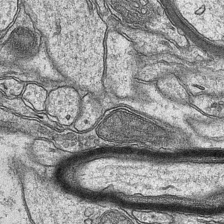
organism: Mouse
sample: CA1 Hippocampus